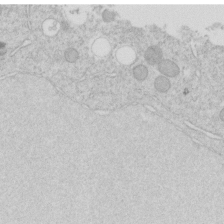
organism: C. elegans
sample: C. elegans embryo early stage